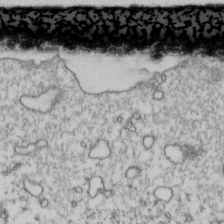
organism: Human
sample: Activated Jurkat CD4+ T cells